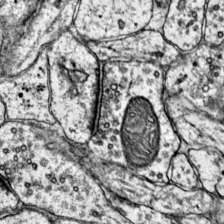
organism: Mouse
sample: Primary visual cortex